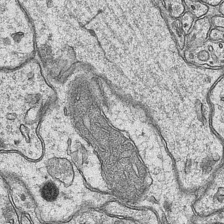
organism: Mouse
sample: CA1 Hippocampus